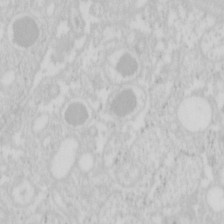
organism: Mouse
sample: Pancreas